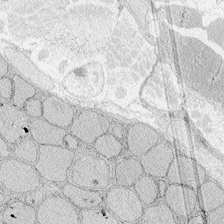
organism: Zebrafish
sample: Whole-Brain